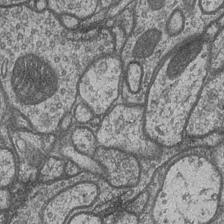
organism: Drosophila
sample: Optic medulla